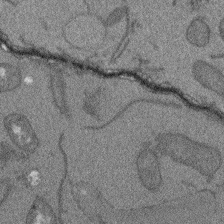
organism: Arabidopsis thaliana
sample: Root tip